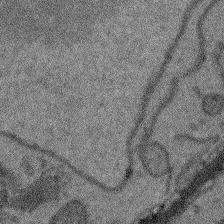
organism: Arabidopsis thaliana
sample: Root tip